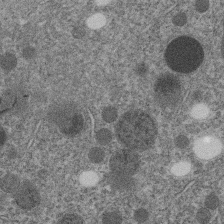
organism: C. elegans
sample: C. elegans embryo early stage